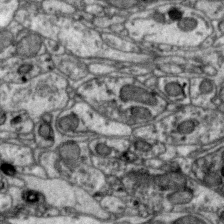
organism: Zebra finch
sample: Brain